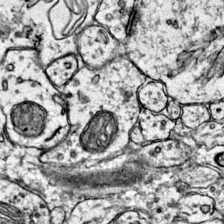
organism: Mouse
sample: Primary visual cortex